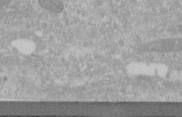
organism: Human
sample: Centriole in RPE cells